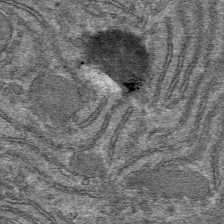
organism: Mouse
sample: Mouse hepatocytes